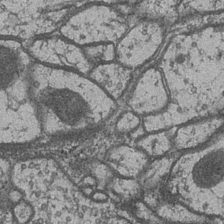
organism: Drosophila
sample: Optic medulla